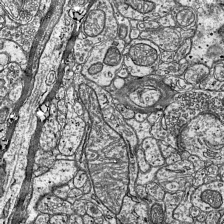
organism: Mouse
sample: Visual Cortex